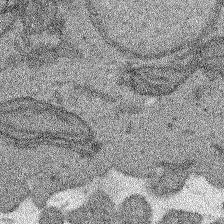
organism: Human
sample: HeLa cells